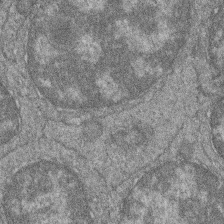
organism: Zebrafish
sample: Cilia; retinal pigment epithelium